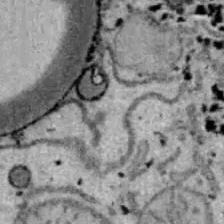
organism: Mouse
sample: Liver from an obese (ob/ob) mouse